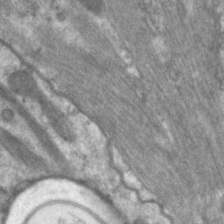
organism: C. elegans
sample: Pharynx